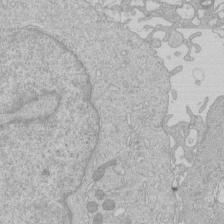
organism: Human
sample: Macrophage cells